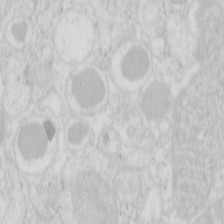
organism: Mouse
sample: Pancreas